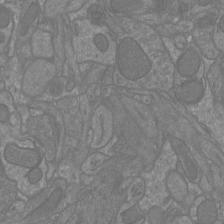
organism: Mouse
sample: Cortical neurons